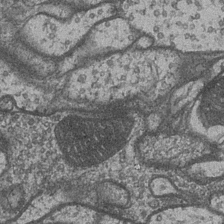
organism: Drosophila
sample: Optic medulla